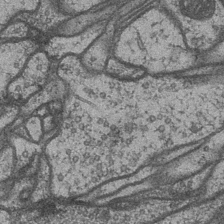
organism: Drosophila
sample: Optic medulla